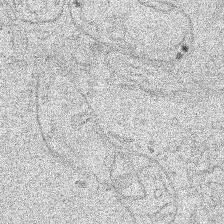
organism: Human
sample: Mitochondria in HCT116 cells